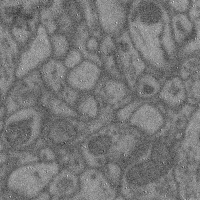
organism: Mouse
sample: Cerebral cortex